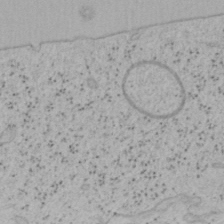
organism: Human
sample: HeLa cells